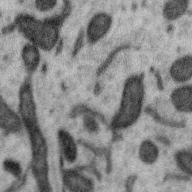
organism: Zebra finch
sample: Brain